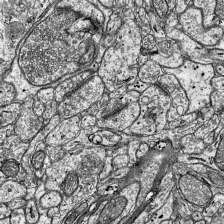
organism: Mouse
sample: Visual Cortex